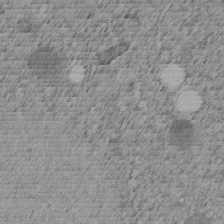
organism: C. elegans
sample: C. elegans embryo early stage